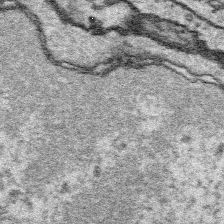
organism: Platynereis dumerilii